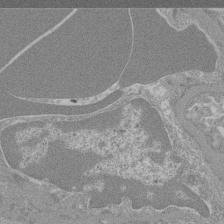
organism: Mouse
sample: Glomerulus